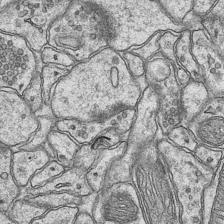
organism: Mouse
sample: CA1 Hippocampus